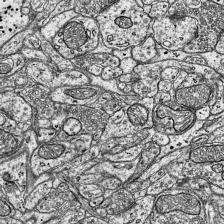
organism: Mouse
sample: Visual Cortex